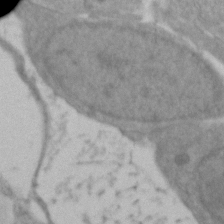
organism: Zebrafish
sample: Zebrafish embryo